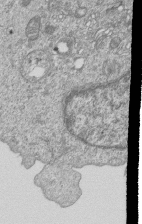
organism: Human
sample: MDA-MB-231 cells